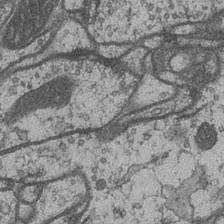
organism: Drosophila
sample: Optic medulla